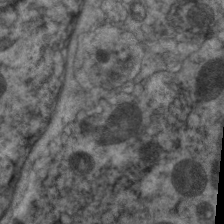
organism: C. elegans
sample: Pharynx